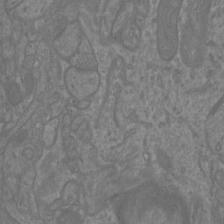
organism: Mouse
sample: Cortical neurons